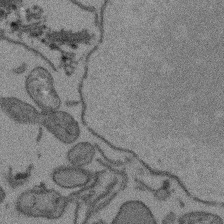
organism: Arabidopsis thaliana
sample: Root tip